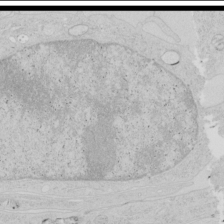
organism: Human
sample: Mitochondria in HCT116 cells